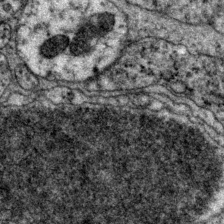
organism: P. pacificus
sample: Pharynx